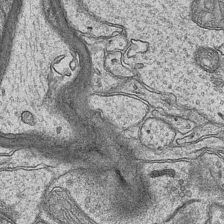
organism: Mouse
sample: CA1 Hippocampus